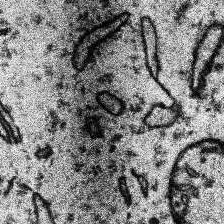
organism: Human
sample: Temporal Lobe